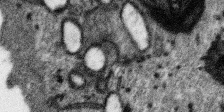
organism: Human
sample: Lung epithelial cells infected with SARS-CoV-2